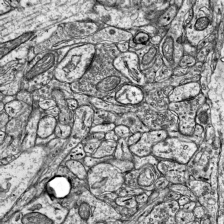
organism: Mouse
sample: Visual Cortex